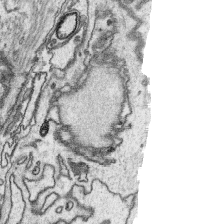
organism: Platynereis dumerilii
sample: Parapodia